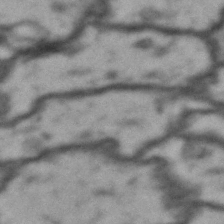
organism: Drosophila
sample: Brain